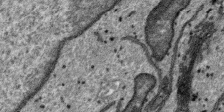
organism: Human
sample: Lung epithelial cells, uninfected (mock) control